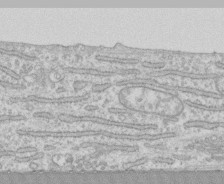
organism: Human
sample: CRL-1474